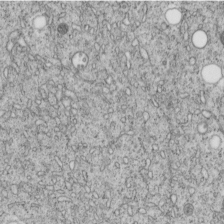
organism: C. elegans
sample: C. elegans embryo early stage